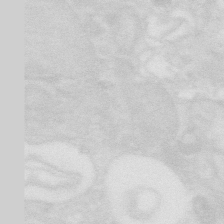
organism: Human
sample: HeLa cells